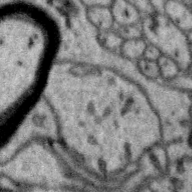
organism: Zebra finch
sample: Brain